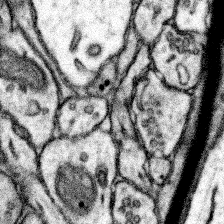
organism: Mouse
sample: Somatosensory cortex neuropil